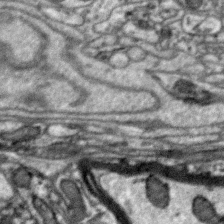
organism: Zebra finch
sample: Brain